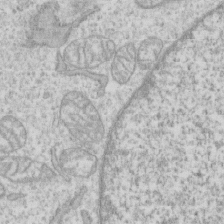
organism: Human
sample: CRL-1474